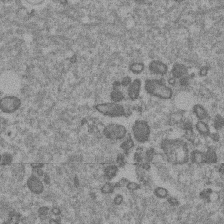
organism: Mouse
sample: Dividing mouse embryo 1 cell stage